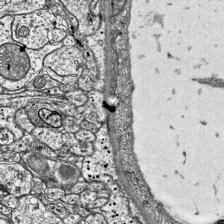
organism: Mouse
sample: Visual Cortex